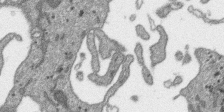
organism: Human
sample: Lung epithelial cells infected with SARS-CoV-2